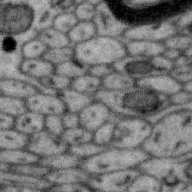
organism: Zebra finch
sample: Brain